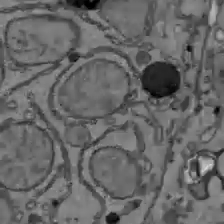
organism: C57BL Mouse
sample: Liver